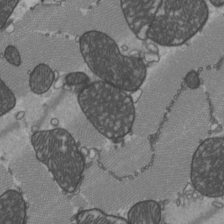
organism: C57BL Mouse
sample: Heart